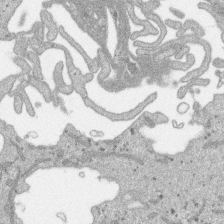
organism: Human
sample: Lung epithelial cells infected with SARS-CoV-2